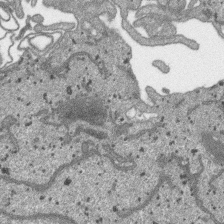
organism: Human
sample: Lung epithelial cells infected with SARS-CoV-2